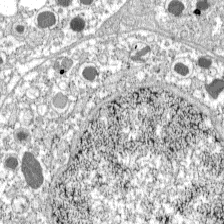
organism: C57BL Mouse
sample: Pancreatic islet